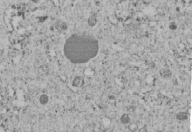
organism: C. elegans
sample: C. elegans embryo early stage